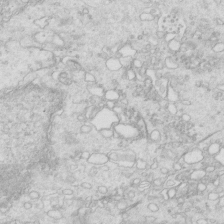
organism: Mouse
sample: Multiciliated cells